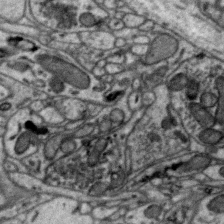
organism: Zebra finch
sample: Brain